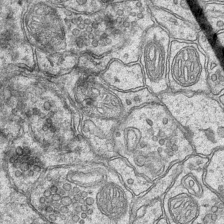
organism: Mouse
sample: CA1 Hippocampus